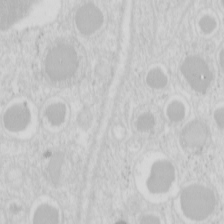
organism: Mouse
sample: Pancreas